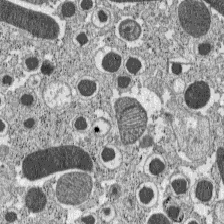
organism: C57BL Mouse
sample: Pancreatic islet